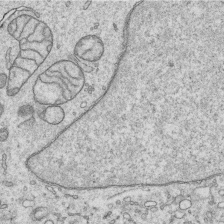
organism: Human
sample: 1205lu cells